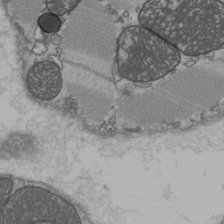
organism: C57BL Mouse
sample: Heart